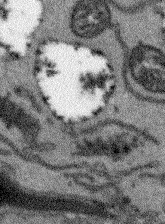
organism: Arabidopsis thaliana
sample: Root tip